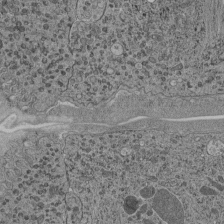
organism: C. elegans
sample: C. elegans pharynx